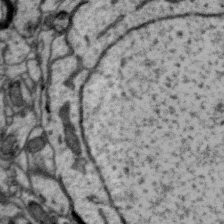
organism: Zebra finch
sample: Brain